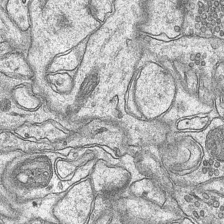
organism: Mouse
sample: CA1 Hippocampus